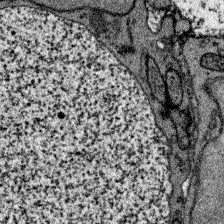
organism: Zebrafish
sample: Larval olfactory bulb